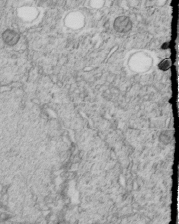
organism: C. elegans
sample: C. elegans embryo early stage